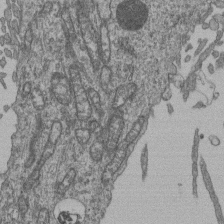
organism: Human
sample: Retinal organoid Rod and Cone cells